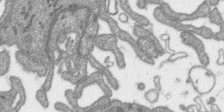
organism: Human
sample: Lung epithelial cells infected with SARS-CoV-2